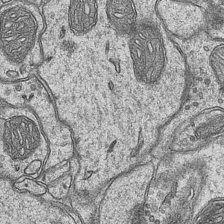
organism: Mouse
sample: CA1 Hippocampus